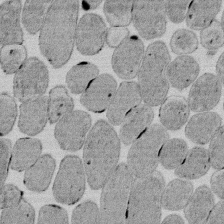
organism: E. coli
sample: Bacterial nucleoid